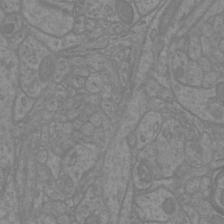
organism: Mouse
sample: Cortical neurons